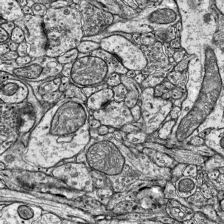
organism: Mouse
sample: Visual Cortex